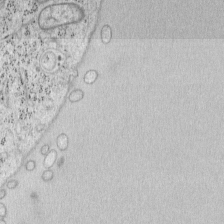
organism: Mouse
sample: OT-I killer T cells with ID8 ovarian cancer cells